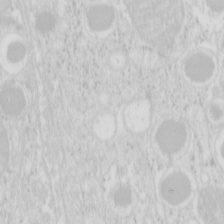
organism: Mouse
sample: Pancreas